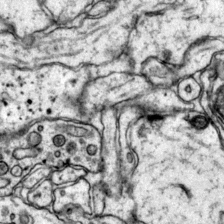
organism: Mouse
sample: Primary visual cortex